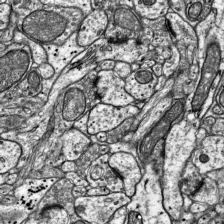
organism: Mouse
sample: Visual Cortex